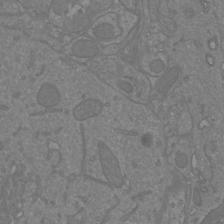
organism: Mouse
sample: Cortical neurons